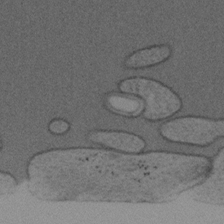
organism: Human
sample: HeLa cells